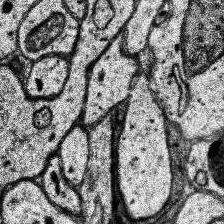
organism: Human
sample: Temporal Lobe